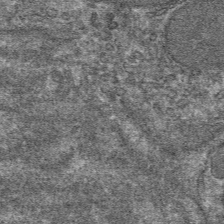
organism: Mouse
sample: Mouse hepatocytes